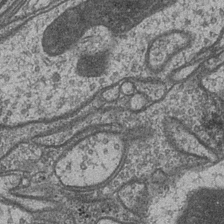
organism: Drosophila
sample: Optic medulla